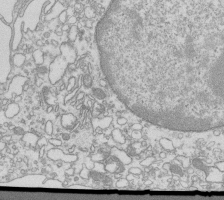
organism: Mouse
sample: Macrophages